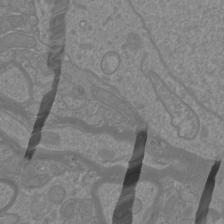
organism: Mouse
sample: Cortical neurons